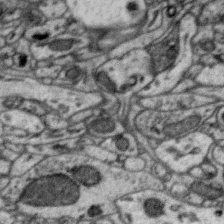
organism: Zebra finch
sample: Brain